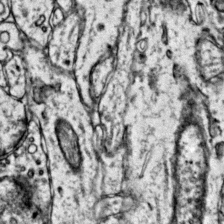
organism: Mouse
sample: Primary visual cortex